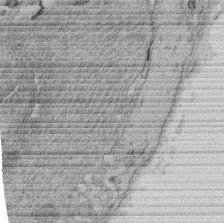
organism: Rat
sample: Salivary granule